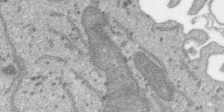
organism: Human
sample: Lung epithelial cells infected with SARS-CoV-2